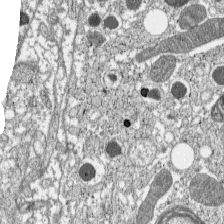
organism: C57BL Mouse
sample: Pancreatic islet